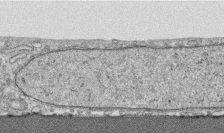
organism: Human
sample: CRL-1474